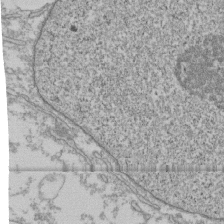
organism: Human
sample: Fibroblast cells